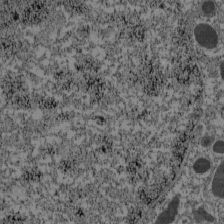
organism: C57BL Mouse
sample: Pancreatic islet